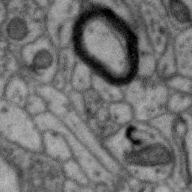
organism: Zebra finch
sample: Brain